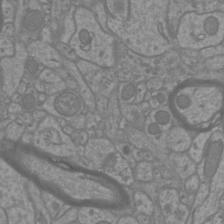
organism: Mouse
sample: Cortical neurons